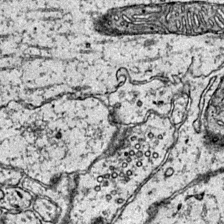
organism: Mouse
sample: Primary visual cortex